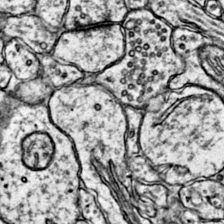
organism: Mouse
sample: Primary visual cortex